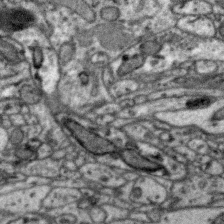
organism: Zebra finch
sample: Brain